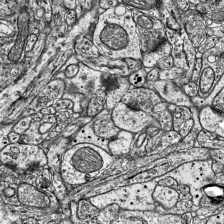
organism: Mouse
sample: Visual Cortex